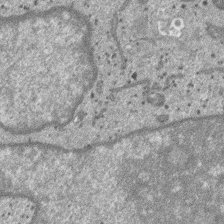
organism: Human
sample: Lung epithelial cells infected with SARS-CoV-2